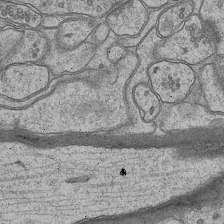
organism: Mouse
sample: CA1 Hippocampus